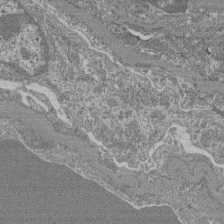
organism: Mouse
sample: Glomerulus